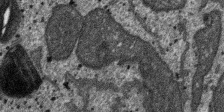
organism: Human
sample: Lung epithelial cells infected with SARS-CoV-2